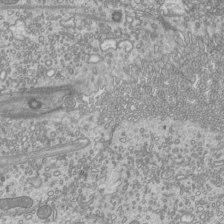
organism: Mouse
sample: Cilia; mouse epididymis